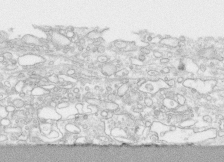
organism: Human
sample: CRL-1474